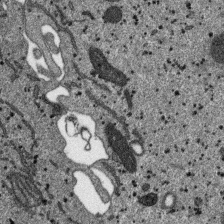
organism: Human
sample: Lung epithelial cells infected with SARS-CoV-2